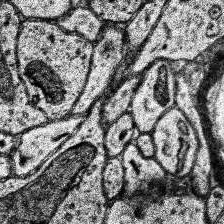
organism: Human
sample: Temporal Lobe